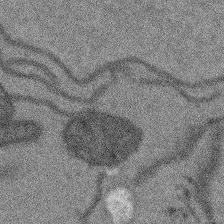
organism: Arabidopsis thaliana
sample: Root tip